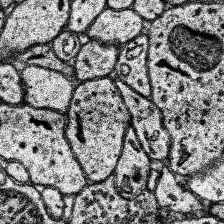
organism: Human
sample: Temporal Lobe